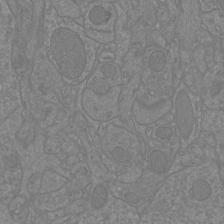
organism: Mouse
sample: Cortical neurons